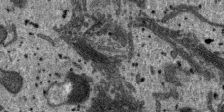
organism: Human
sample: Lung epithelial cells, uninfected (mock) control